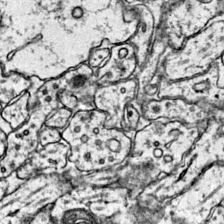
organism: Mouse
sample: Primary visual cortex